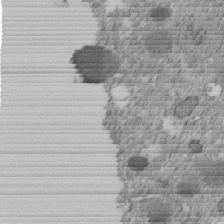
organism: C. elegans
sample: C. elegans embryo early stage